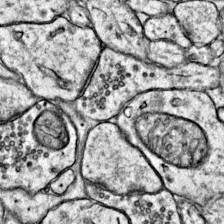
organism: Mouse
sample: Primary visual cortex